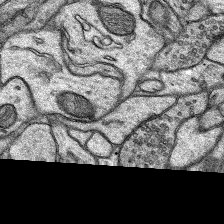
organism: Rat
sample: Hippocampus